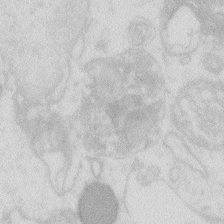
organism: Zebrafish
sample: Macrophage